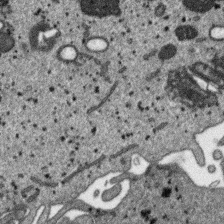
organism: Human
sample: Lung epithelial cells infected with SARS-CoV-2